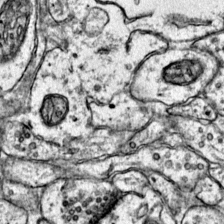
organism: Mouse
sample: Primary visual cortex